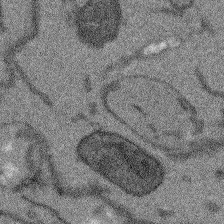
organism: Arabidopsis thaliana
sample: Root tip